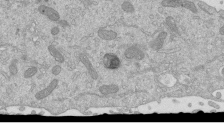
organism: Mouse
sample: ED-1 cell nuclei; centrioles